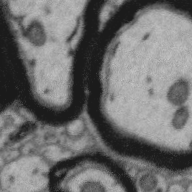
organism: Zebra finch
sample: Brain